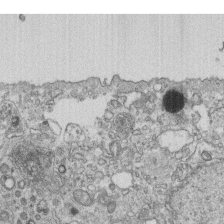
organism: Human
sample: HeLa cell HIV synapse